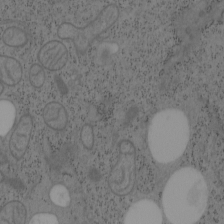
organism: Mouse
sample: OT-I killer T cells with ID8 ovarian cancer cells